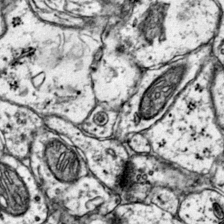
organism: Mouse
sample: Primary visual cortex